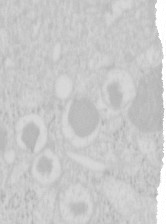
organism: Mouse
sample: Pancreas